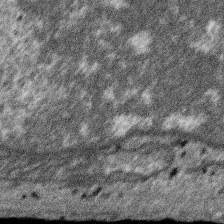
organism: Human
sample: Lung epithelial cells infected with SARS-CoV-2